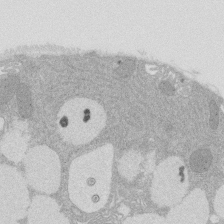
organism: Rat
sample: Salivary granule